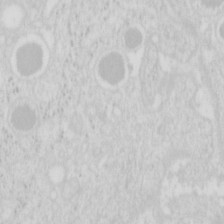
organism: Mouse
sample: Pancreas